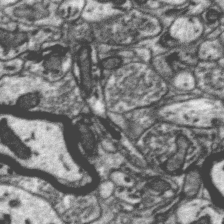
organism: Zebra finch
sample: Brain